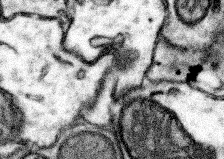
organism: Mouse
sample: Somatosensory cortex neuropil